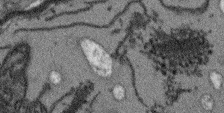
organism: Arabidopsis thaliana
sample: Root tip